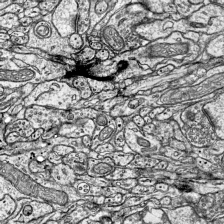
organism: Mouse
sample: Visual Cortex